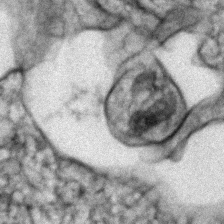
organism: Zebrafish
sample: Zebrafish embryo